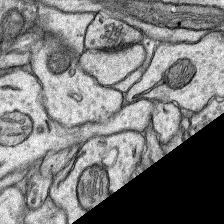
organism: Rat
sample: Hippocampus